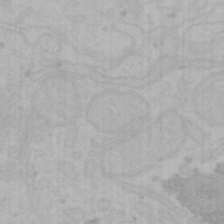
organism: Mouse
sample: Choroid plexus